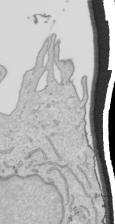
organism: Human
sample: Mitochondria in HCT116 cells